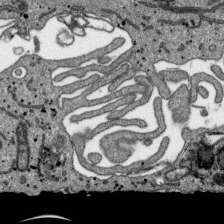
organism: Human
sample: Lung epithelial cells, uninfected (mock) control